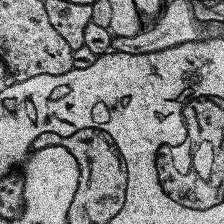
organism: Human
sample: Temporal Lobe